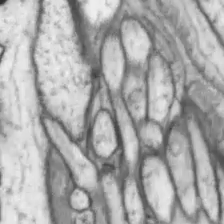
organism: Drosophila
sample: Optic lobe